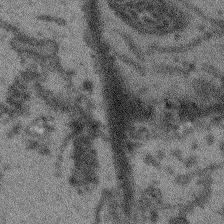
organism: Arabidopsis thaliana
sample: Root tip